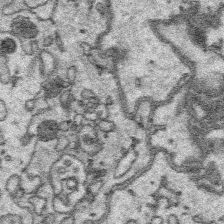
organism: Platynereis dumerilii